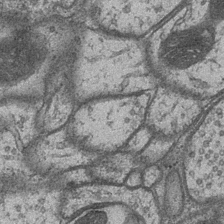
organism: Drosophila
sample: Optic medulla